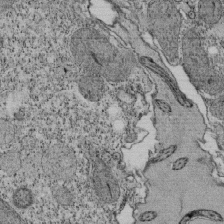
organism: Tetrahymena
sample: Cilia in tetrahymena